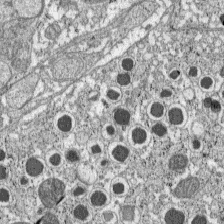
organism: C57BL Mouse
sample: Pancreatic islet